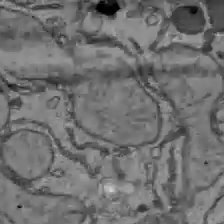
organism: C57BL Mouse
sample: Liver